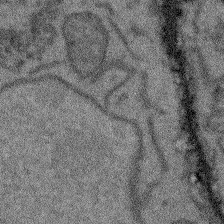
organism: Arabidopsis thaliana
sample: Root tip